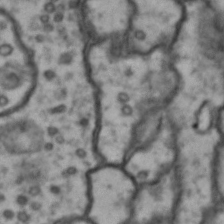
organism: Drosophila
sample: Brain